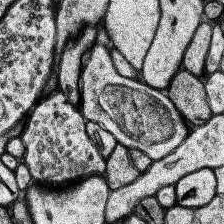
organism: Human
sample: Temporal Lobe